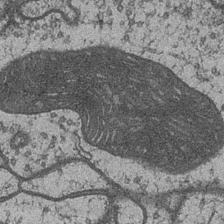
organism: Drosophila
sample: Optic medulla